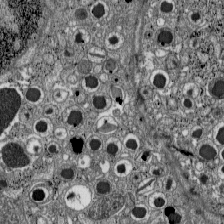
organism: C57BL Mouse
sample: Pancreatic islet